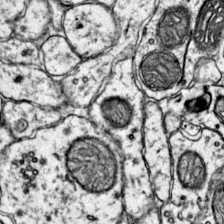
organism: Mouse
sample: Primary visual cortex